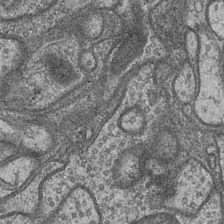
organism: Drosophila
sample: Optic medulla